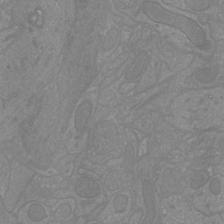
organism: Mouse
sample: Cortical neurons